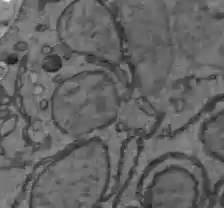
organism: C57BL Mouse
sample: Liver